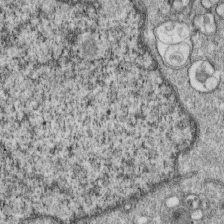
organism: African green monkey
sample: Vero E6 cells infected with SARS-CoV-2